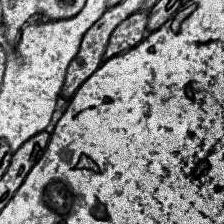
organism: Human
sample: Temporal Lobe